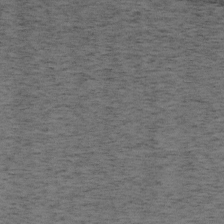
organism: Mouse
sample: OT-I killer T cells with ID8 ovarian cancer cells